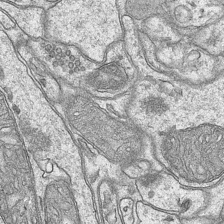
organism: Mouse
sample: CA1 Hippocampus